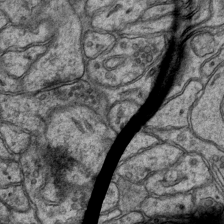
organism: Mouse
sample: CA1 Hippocampus